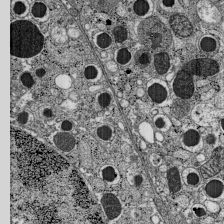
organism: C57BL Mouse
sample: Pancreatic islet